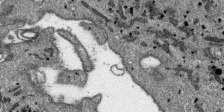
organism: Human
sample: Lung epithelial cells, uninfected (mock) control